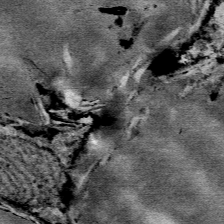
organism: Mouse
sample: Mouse Salivary gland